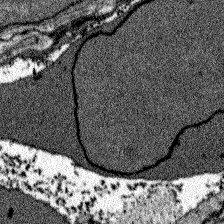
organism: Zebrafish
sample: Larval olfactory bulb